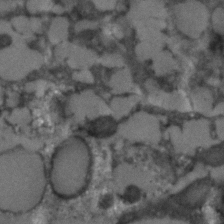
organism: C. elegans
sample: C. elegans embryo